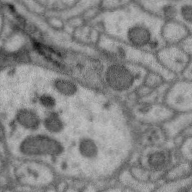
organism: Zebra finch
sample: Brain